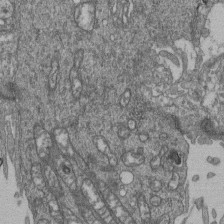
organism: Human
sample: Retinal organoid Rod and Cone cells